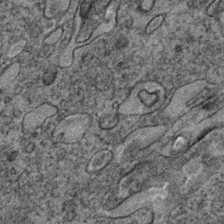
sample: Trachea